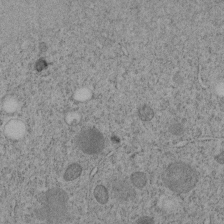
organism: C. elegans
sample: C. elegans embryo early stage